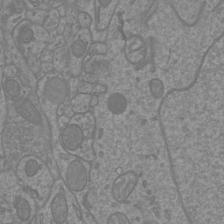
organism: Mouse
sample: Cortical neurons